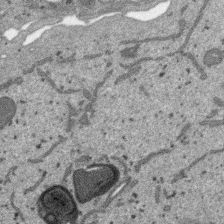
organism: Human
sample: Lung epithelial cells infected with SARS-CoV-2